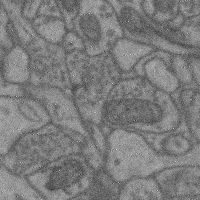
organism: Mouse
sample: Cerebral cortex